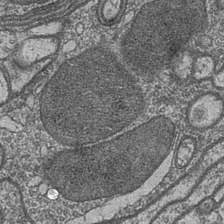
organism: Drosophila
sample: Optic medulla